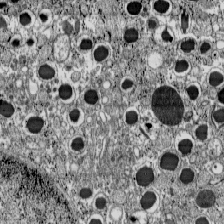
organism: C57BL Mouse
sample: Pancreatic islet